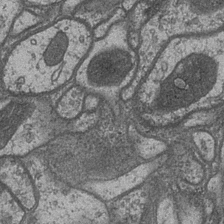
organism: Drosophila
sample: Optic medulla